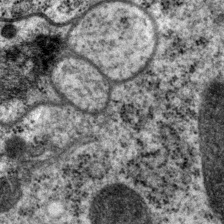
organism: P. pacificus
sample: Pharynx